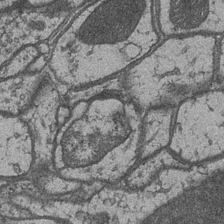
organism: Drosophila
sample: Optic medulla